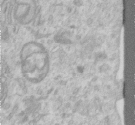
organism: Human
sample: Centriole in RPE cells